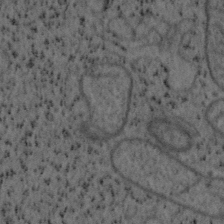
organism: Human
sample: HeLa cells